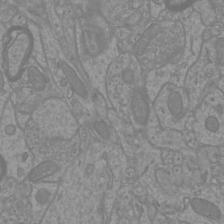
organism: Mouse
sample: Cortical neurons